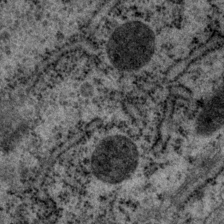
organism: P. pacificus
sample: Pharynx